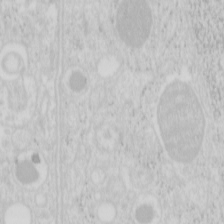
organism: Mouse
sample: Pancreas